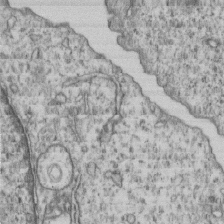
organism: Human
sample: MDA-MB-231 cells